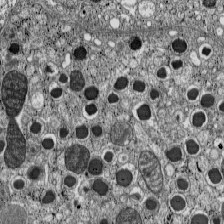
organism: C57BL Mouse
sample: Pancreatic islet